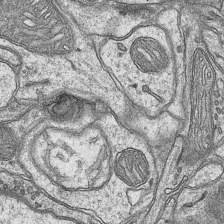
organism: Mouse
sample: CA1 Hippocampus